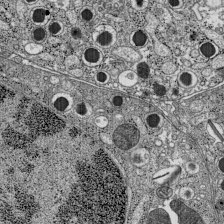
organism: C57BL Mouse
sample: Pancreatic islet